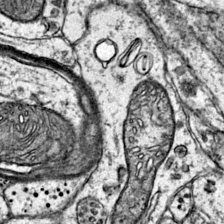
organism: Mouse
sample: Primary visual cortex